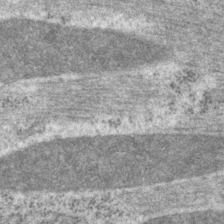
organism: P. pacificus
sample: Pharynx